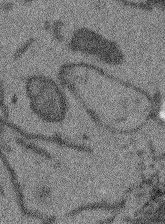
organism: Arabidopsis thaliana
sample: Root tip